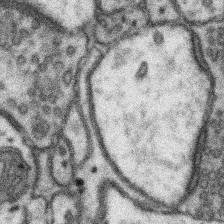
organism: Mouse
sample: Somatosensory cortex neuropil